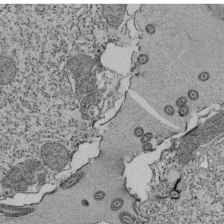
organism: Tetrahymena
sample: Cilia in tetrahymena